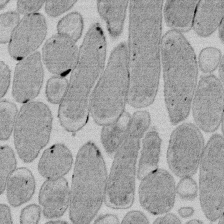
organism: E. coli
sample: Bacterial nucleoid